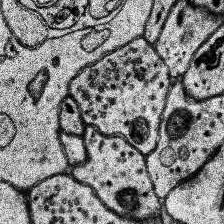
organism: Human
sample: Temporal Lobe